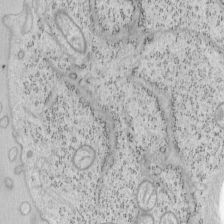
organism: Mouse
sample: OT-I killer T cells with ID8 ovarian cancer cells